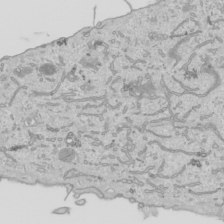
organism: Human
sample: Mitochondria in HCT116 cells